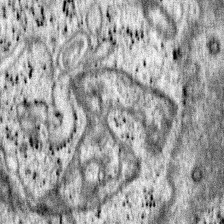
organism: Human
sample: HeLa cells